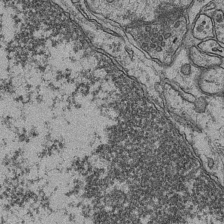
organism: Mouse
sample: CA1 Hippocampus